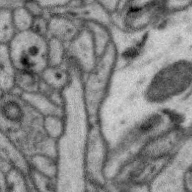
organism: Zebra finch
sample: Brain